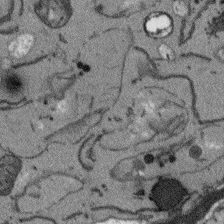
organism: Arabidopsis thaliana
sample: Root tip